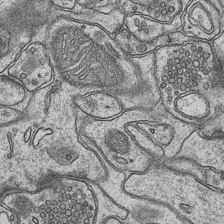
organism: Mouse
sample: CA1 Hippocampus